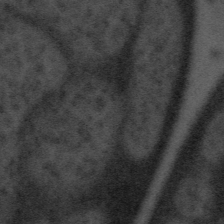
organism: Tuwongella immobilis